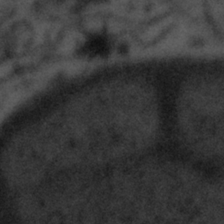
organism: Tuwongella immobilis